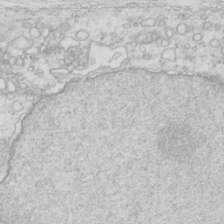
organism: Mouse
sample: Multiciliated cells